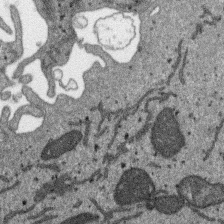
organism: Human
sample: Lung epithelial cells infected with SARS-CoV-2